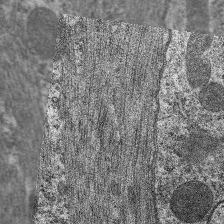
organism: C. elegans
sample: Pharynx